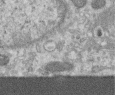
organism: Human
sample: Centriole in RPE cells